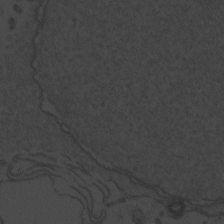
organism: Zebrafish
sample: Macrophage infected with Toxoplasma gondii